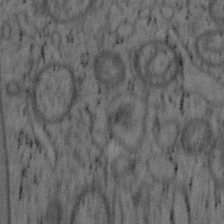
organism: Human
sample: HeLa cells